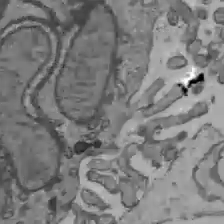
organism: C57BL Mouse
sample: Liver